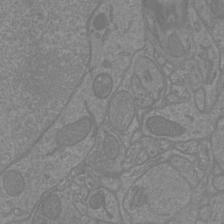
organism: Mouse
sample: Cortical neurons